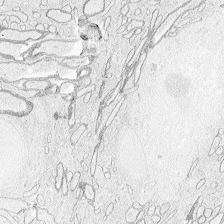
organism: Zebrafish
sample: Whole-Brain